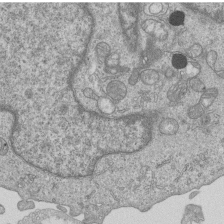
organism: Human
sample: MDA-MB-231 cells